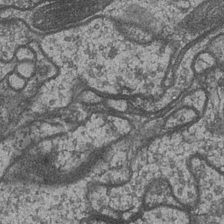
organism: Drosophila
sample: Optic medulla